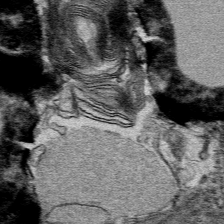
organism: Mouse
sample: Mouse hepatocytes